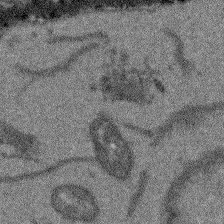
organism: Arabidopsis thaliana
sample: Root tip